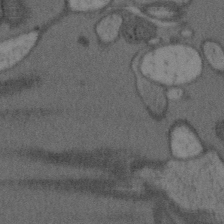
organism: Human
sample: HeLa cells